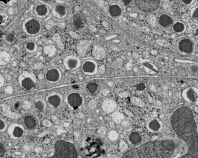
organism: C57BL Mouse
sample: Pancreatic islet